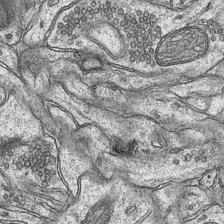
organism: Mouse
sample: CA1 Hippocampus